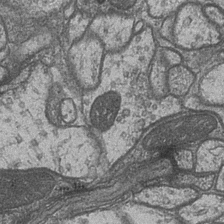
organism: Drosophila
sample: Optic medulla